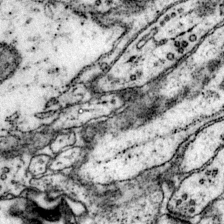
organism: Mouse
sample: Primary visual cortex